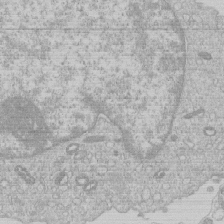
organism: Human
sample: Macrophage cells